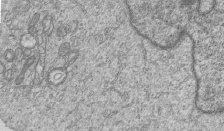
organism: Human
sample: MDA-MB-231 cells